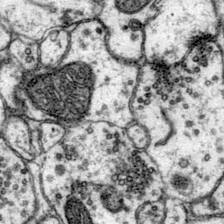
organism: Mouse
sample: Primary visual cortex